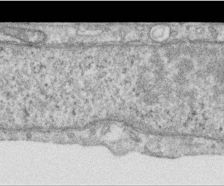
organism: Human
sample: Centriole in RPE cells